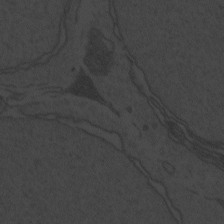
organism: Zebrafish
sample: Macrophage infected with Toxoplasma gondii